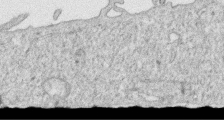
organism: Human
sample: HeLa cell HIV synapse